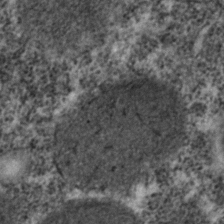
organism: C. elegans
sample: C. elegans embryo